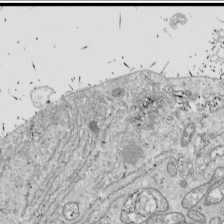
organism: Drosophila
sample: Cell division; meiosis; drosophila spermatocytes